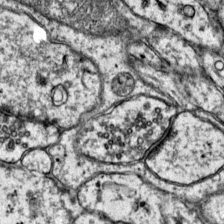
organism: Mouse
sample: Primary visual cortex